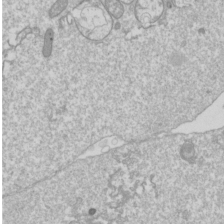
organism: Drosophila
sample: Cell division; meiosis; drosophila spermatocytes